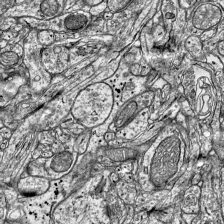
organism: Mouse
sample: Visual Cortex